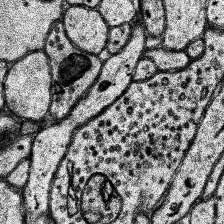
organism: Human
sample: Temporal Lobe